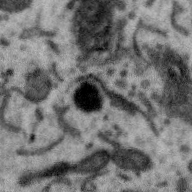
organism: Zebra finch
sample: Brain